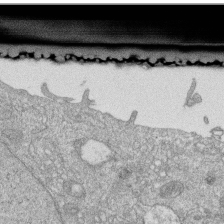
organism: Human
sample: HeLa cell HIV synapse